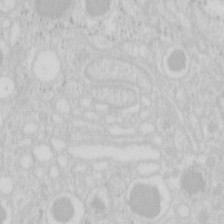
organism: Mouse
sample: Pancreas